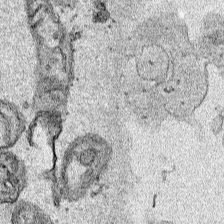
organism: Human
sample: Mitochondria in HCT116 cells